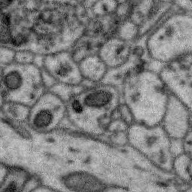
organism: Zebra finch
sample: Brain